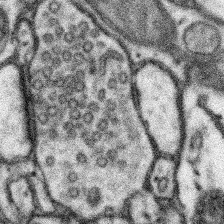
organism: Mouse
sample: Somatosensory cortex neuropil